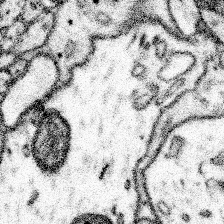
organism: Mouse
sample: Somatosensory cortex neuropil